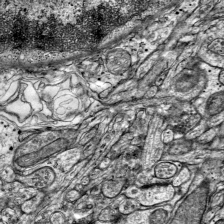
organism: Mouse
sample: Visual Cortex